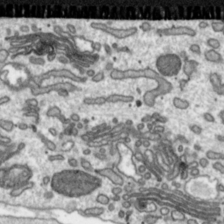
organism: Toxoplasma gondii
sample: Parasites in a vacuole inside a host cell